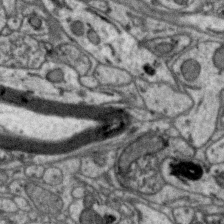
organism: Zebra finch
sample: Brain